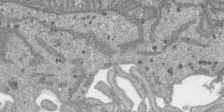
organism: Human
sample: Lung epithelial cells infected with SARS-CoV-2